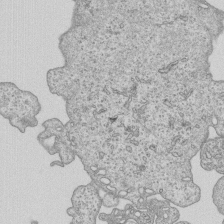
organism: Human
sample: MDA-MB-231 cells